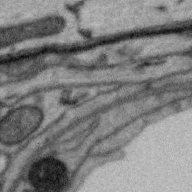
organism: Zebra finch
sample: Brain